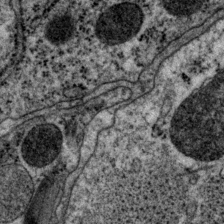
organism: P. pacificus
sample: Pharynx